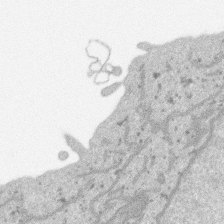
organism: Human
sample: Lung epithelial cells infected with SARS-CoV-2